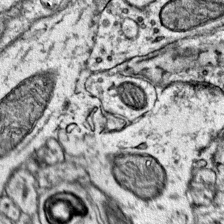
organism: Mouse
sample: Primary visual cortex